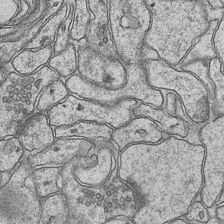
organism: Mouse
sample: CA1 Hippocampus